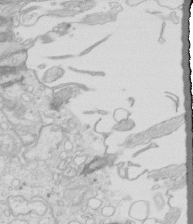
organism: Mouse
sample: Multiciliated cells